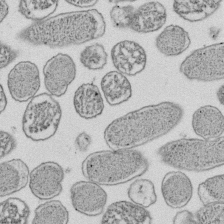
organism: E. coli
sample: Bacterial nucleoid